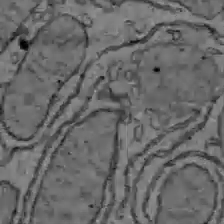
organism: C57BL Mouse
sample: Liver